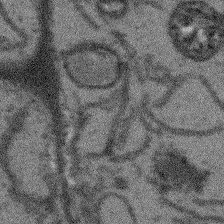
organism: Arabidopsis thaliana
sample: Root tip